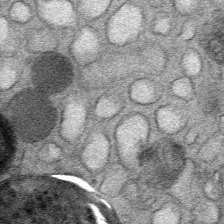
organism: Mouse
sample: Mouse Salivary gland